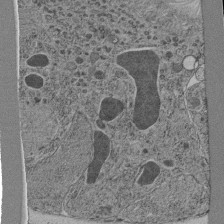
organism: C. elegans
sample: C. elegans pharynx